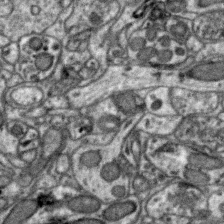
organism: Zebra finch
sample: Brain